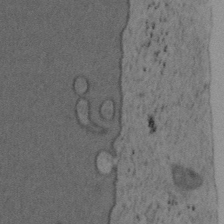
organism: Human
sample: HeLa cells